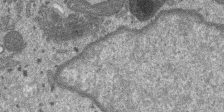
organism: Human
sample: Lung epithelial cells infected with SARS-CoV-2